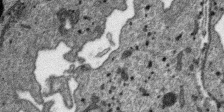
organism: Human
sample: Lung epithelial cells infected with SARS-CoV-2